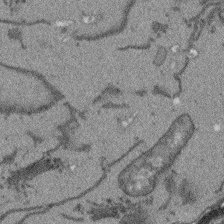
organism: Arabidopsis thaliana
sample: Root tip